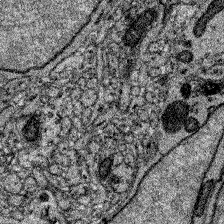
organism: Zebrafish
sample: Larval olfactory bulb